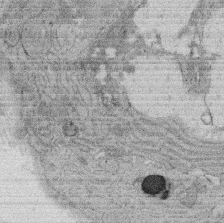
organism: Rat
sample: Salivary granule